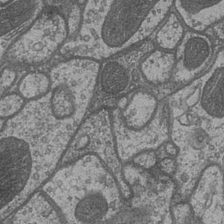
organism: Drosophila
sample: Optic medulla